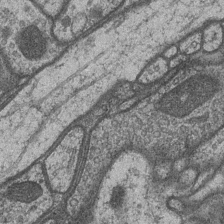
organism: Drosophila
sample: Optic medulla